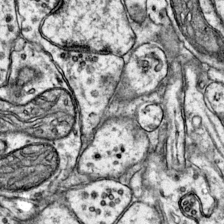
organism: Mouse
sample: Primary visual cortex